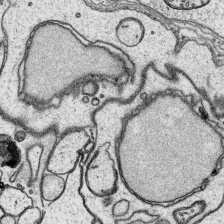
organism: Platynereis dumerilii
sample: Parapodia